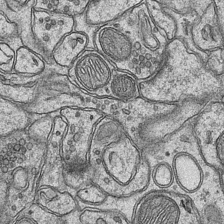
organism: Mouse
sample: CA1 Hippocampus